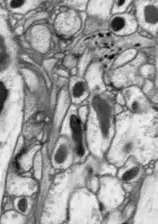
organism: Drosophila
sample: Optic lobe